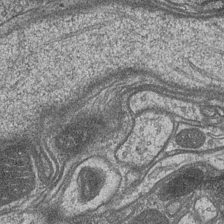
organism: Drosophila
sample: Optic medulla